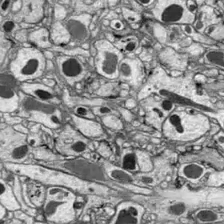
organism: Drosophila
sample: Optic lobe